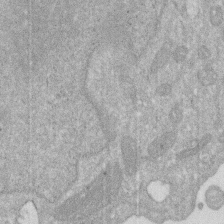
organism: Human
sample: HIV infected U937 cells